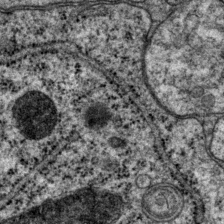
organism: P. pacificus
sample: Pharynx